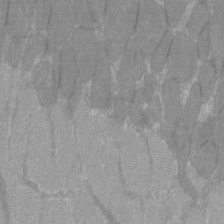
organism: C57BL Mouse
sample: Tibialis anterior muscle cell